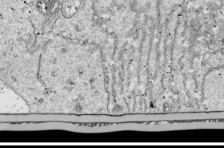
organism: Drosophila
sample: Cell division; meiosis; drosophila spermatocytes